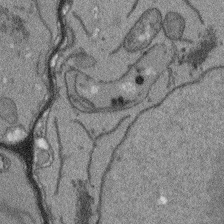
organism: Arabidopsis thaliana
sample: Root tip